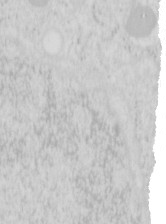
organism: Mouse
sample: Pancreas